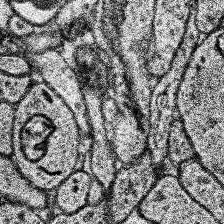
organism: Human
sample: Temporal Lobe